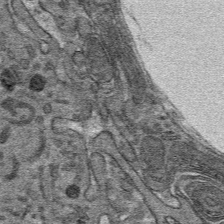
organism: Mouse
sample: Mouse hepatocytes